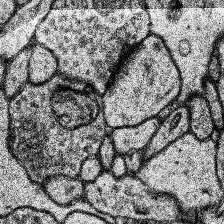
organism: Human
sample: Temporal Lobe